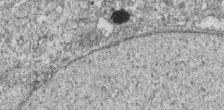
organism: Human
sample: HeLa cell HIV synapse